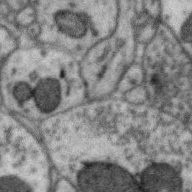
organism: Zebra finch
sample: Brain